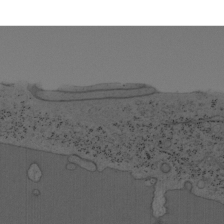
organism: Mouse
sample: OT-I killer T cells with ID8 ovarian cancer cells